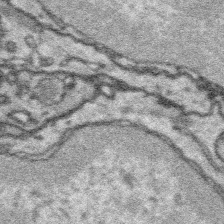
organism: Platynereis dumerilii